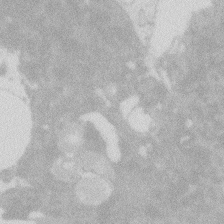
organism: Zebrafish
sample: Macrophage